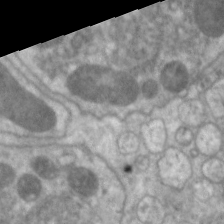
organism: C. elegans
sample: Pharynx